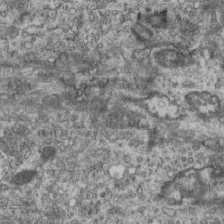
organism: Mouse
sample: Centriole in ependymal cells